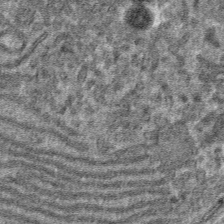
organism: Mouse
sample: Mouse hepatocytes